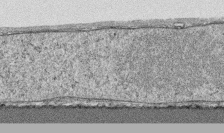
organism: Human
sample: CRL-1474